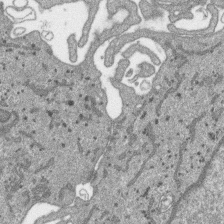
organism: Human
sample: Lung epithelial cells infected with SARS-CoV-2